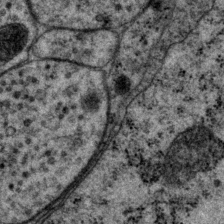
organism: P. pacificus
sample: Pharynx